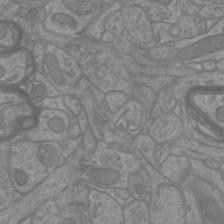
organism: Mouse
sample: Cortical neurons